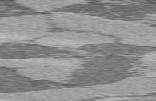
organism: C57BL Mouse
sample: Heart